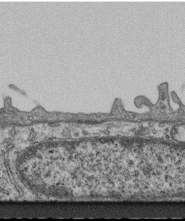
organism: Mouse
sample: Centriole in ependymal cells